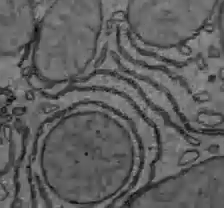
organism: C57BL Mouse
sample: Liver